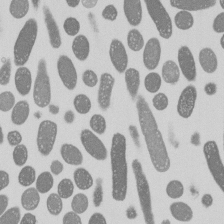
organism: E. coli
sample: Bacterial nucleoid